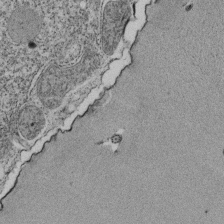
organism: Tetrahymena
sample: Cilia in tetrahymena